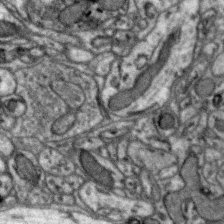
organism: Zebra finch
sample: Brain